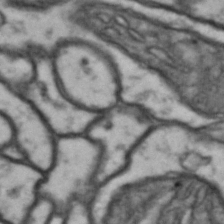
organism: Drosophila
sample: Brain